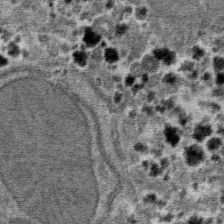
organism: Mouse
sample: Mouse hepatocytes